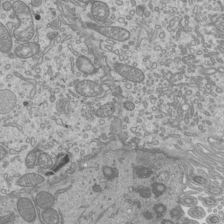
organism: Mouse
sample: Cilia; mouse epididymis